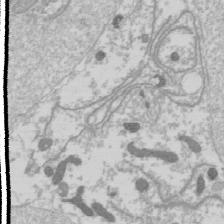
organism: Drosophila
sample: Cell division; meiosis; drosophila spermatocytes